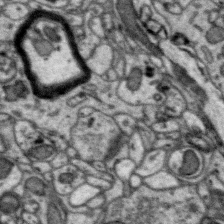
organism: Zebra finch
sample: Brain